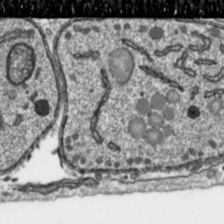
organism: Toxoplasma gondii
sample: Parasites in a vacuole inside a host cell